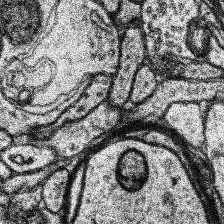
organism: Human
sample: Temporal Lobe